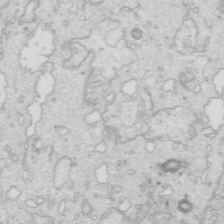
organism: Mouse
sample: Multiciliated cells